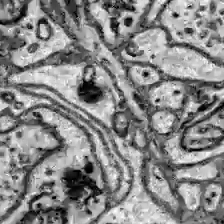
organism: Zebrafish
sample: Brain